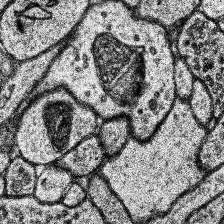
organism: Human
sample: Temporal Lobe